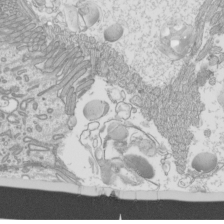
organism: Mouse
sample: Cilia; mouse epididymis